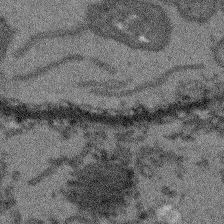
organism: Arabidopsis thaliana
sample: Root tip